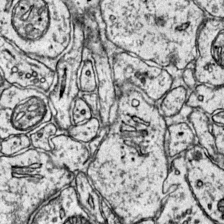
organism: Mouse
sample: Primary visual cortex